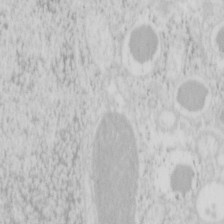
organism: Mouse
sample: Pancreas